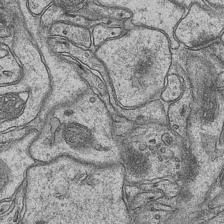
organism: Mouse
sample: CA1 Hippocampus